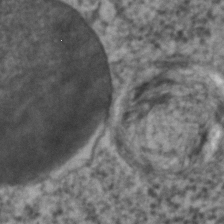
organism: C. elegans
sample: C. elegans embryo